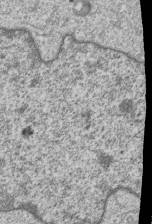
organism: Human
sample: MDA-MB-231 cells